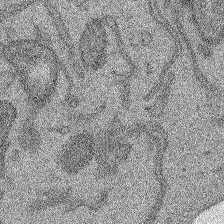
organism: Human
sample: HeLa cells